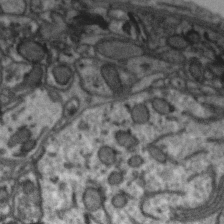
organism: Zebra finch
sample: Brain